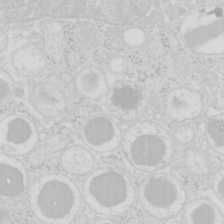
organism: Mouse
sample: Pancreas